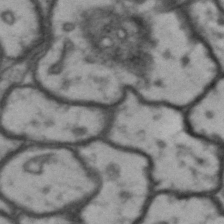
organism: Drosophila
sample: Brain